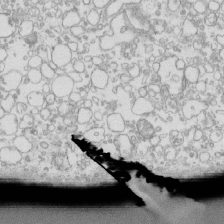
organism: Mouse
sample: Macrophages